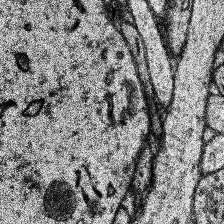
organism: Human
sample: Temporal Lobe